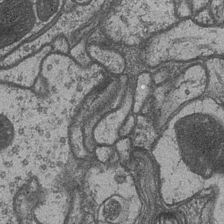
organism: Drosophila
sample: Optic medulla